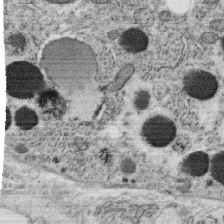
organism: C. elegans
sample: C. elegans oocyte; sperm cells